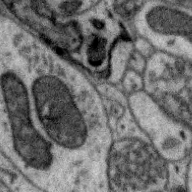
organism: Zebra finch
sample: Brain